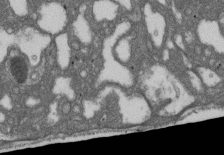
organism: Drosophila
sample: Nephrocyte